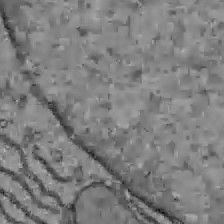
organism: C57BL Mouse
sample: Liver